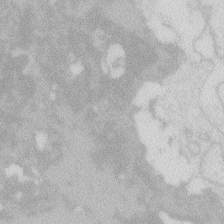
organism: Zebrafish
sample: Macrophage